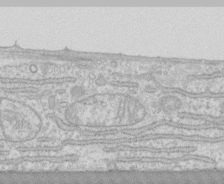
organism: Human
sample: CRL-1474